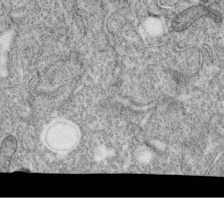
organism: C. elegans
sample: C. elegans oocyte; sperm cells